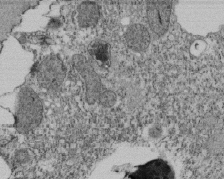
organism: Tetrahymena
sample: Cilia in tetrahymena